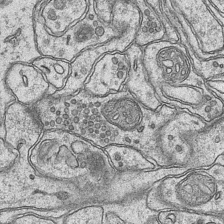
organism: Mouse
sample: CA1 Hippocampus